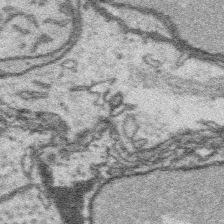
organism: Platynereis dumerilii